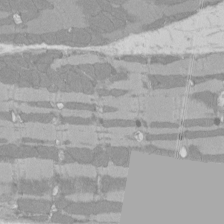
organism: Rat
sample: Left ventricle